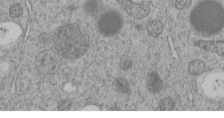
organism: C. elegans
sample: C. elegans embryo early stage